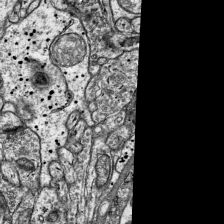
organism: Mouse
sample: Visual Cortex